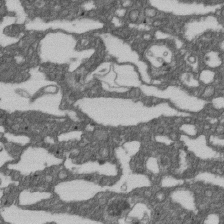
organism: Drosophila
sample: Nephrocyte